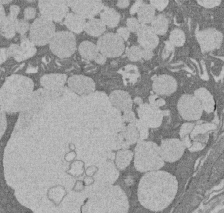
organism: Rat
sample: Salivary granule